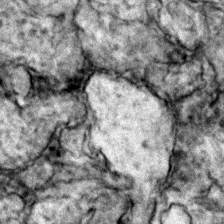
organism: Zebrafish